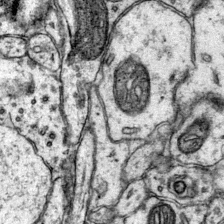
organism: Mouse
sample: Primary visual cortex